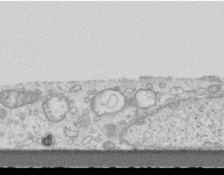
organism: Mouse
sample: Centriole in ependymal cells